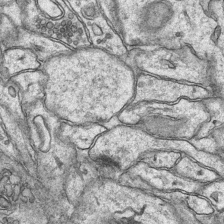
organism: Mouse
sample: CA1 Hippocampus